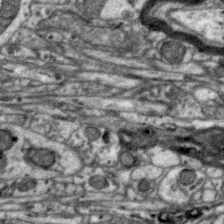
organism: Zebra finch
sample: Brain